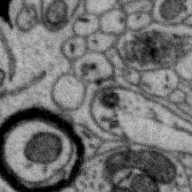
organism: Zebra finch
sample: Brain